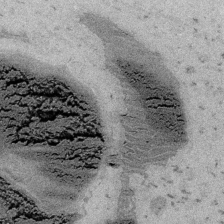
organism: Embia sp.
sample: Silk gland